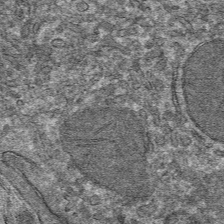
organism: Mouse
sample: Mouse hepatocytes